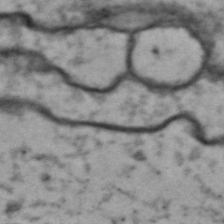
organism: Drosophila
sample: Brain